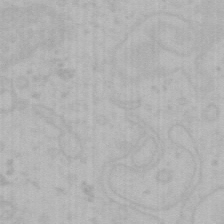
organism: Mouse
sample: Choroid plexus